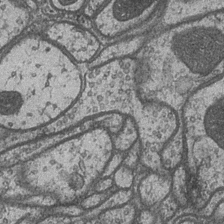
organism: Drosophila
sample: Optic medulla